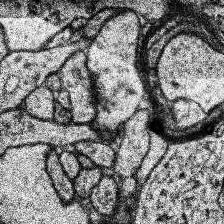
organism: Human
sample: Temporal Lobe